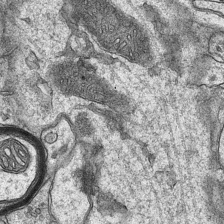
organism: Mouse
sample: CA1 Hippocampus